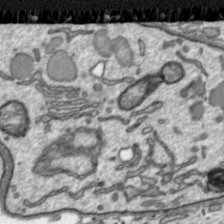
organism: Toxoplasma gondii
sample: Parasites in a vacuole inside a host cell